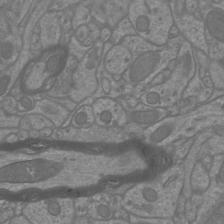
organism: Mouse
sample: Cortical neurons